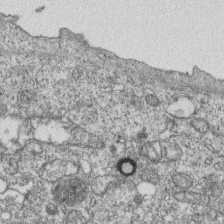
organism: Human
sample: HeLa cell HIV synapse